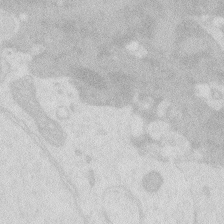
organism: Zebrafish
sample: Macrophage